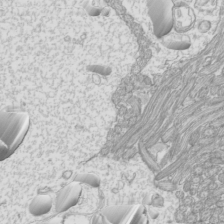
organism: Mouse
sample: Cilia; mouse epididymis